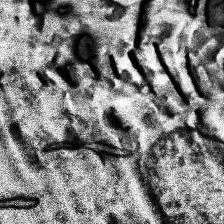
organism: Human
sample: Temporal Lobe